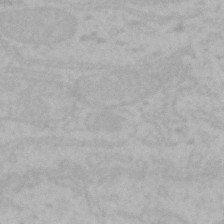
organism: Mouse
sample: Choroid plexus